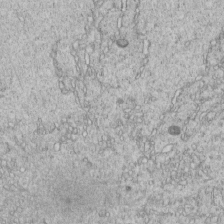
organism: C. elegans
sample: C. elegans embryo early stage